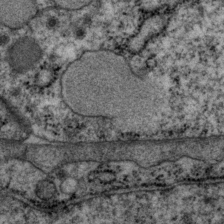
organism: P. pacificus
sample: Pharynx